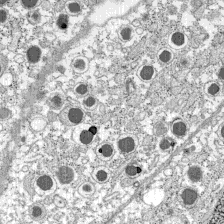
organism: C57BL Mouse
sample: Pancreatic islet